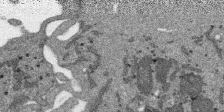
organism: Human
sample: Lung epithelial cells infected with SARS-CoV-2